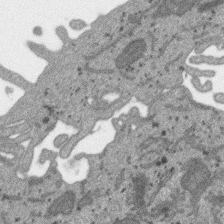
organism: Human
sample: Lung epithelial cells infected with SARS-CoV-2